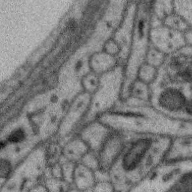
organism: Zebra finch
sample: Brain